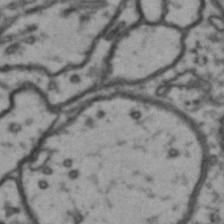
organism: Drosophila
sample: Brain